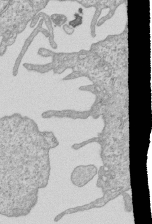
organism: Human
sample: MDA-MB-231 cells